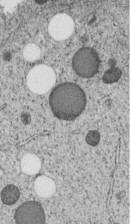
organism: C. elegans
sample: C. elegans embryo early stage